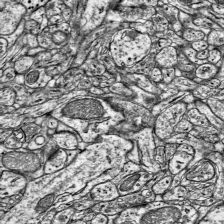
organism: Mouse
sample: Visual Cortex